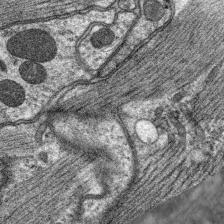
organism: C. elegans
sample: Pharynx